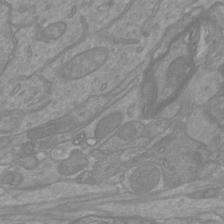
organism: Mouse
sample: Cortical neurons